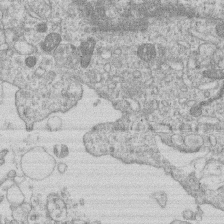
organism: Human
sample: Macrophage cells